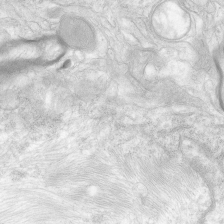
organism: Human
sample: Neocortex